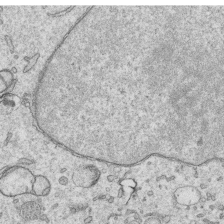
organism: Human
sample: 1205lu cells